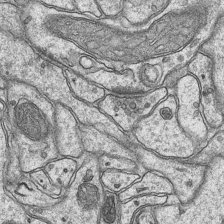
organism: Mouse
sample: CA1 Hippocampus